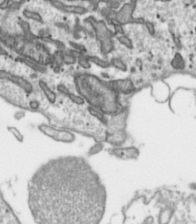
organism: Toxoplasma gondii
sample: Parasites in a vacuole inside a host cell